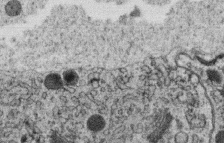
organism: C. elegans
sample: C. elegans oocyte; sperm cells